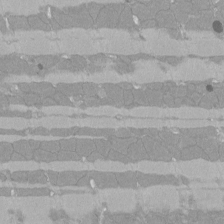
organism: Rat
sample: Left ventricle